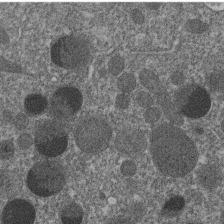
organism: C. elegans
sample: C. elegans embryo early stage